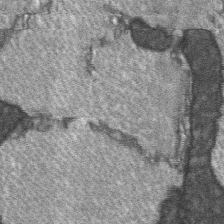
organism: C57BL Mouse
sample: Soleus